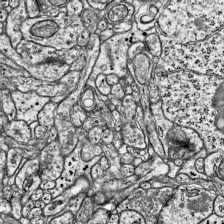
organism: Mouse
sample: Visual Cortex